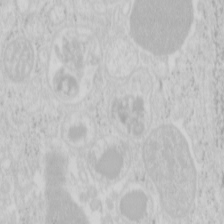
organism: Mouse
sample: Pancreas